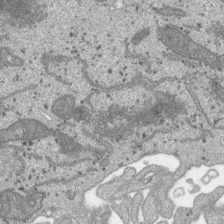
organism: Human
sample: Lung epithelial cells infected with SARS-CoV-2